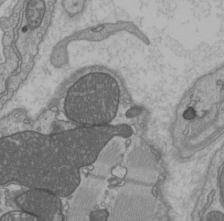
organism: C57BL Mouse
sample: Heart